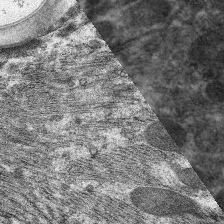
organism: C. elegans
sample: Pharynx